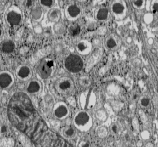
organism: C57BL Mouse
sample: Pancreatic islet